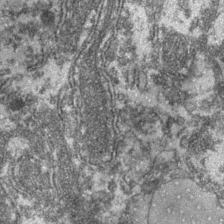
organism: Zebrafish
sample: Zebrafish embryo